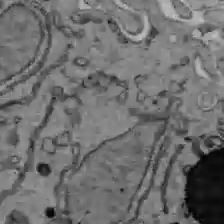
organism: C57BL Mouse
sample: Liver